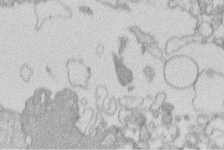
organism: Human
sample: Macrophage cells